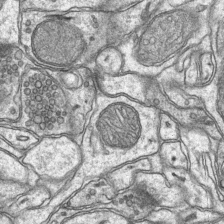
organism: Mouse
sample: CA1 Hippocampus